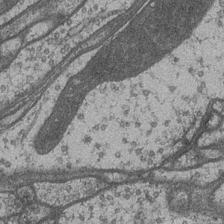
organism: Drosophila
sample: Optic medulla